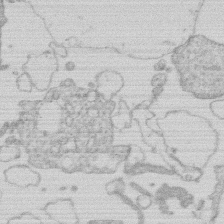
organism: Human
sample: Macrophage cells